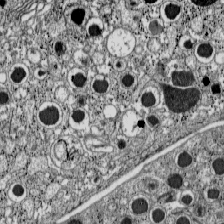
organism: C57BL Mouse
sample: Pancreatic islet